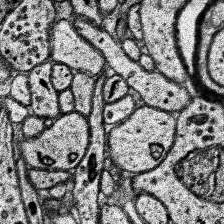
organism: Human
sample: Temporal Lobe